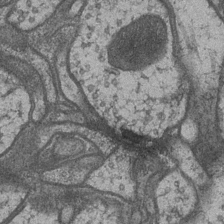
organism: Drosophila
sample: Optic medulla